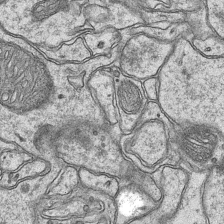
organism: Mouse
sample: CA1 Hippocampus